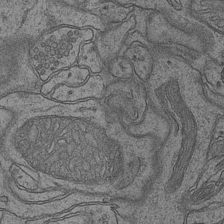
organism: Mouse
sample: CA1 Hippocampus